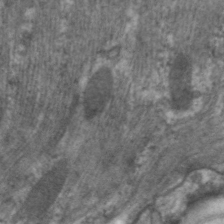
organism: C. elegans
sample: Pharynx